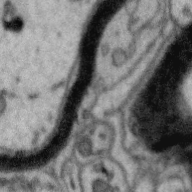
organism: Zebra finch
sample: Brain